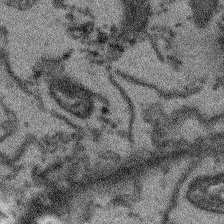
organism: Arabidopsis thaliana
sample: Root tip